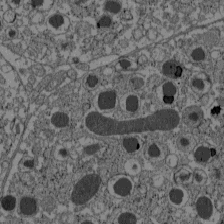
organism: C57BL Mouse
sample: Pancreatic islet